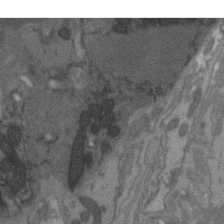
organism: C. elegans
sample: AFD neurons C. elegans